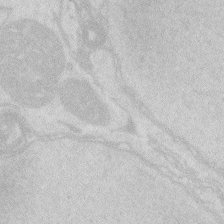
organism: Zebrafish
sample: Macrophage